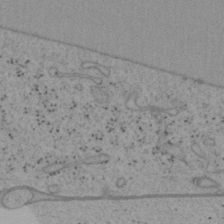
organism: Human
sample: HeLa cells